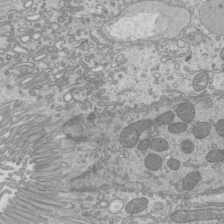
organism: Mouse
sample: Cilia; mouse epididymis